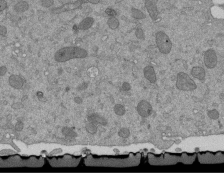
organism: Mouse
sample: ED-1 cell nuclei; centrioles